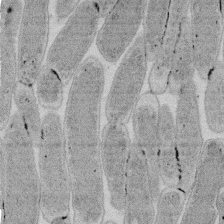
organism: E. coli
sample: Bacterial nucleoid